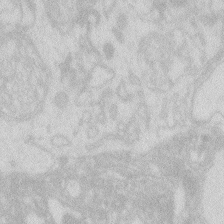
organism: Zebrafish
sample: Macrophage